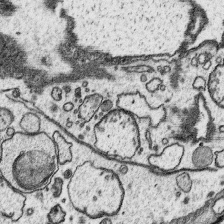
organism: Platynereis dumerilii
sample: Parapodia